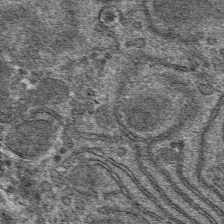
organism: Mouse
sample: Mouse hepatocytes